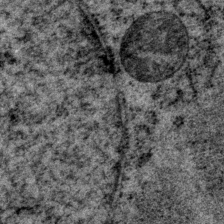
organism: P. pacificus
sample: Pharynx